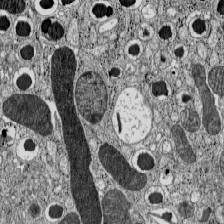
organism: C57BL Mouse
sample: Pancreatic islet